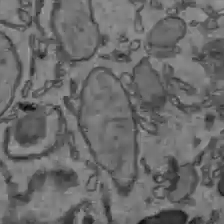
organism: C57BL Mouse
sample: Liver